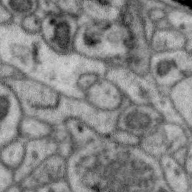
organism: Zebra finch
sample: Brain